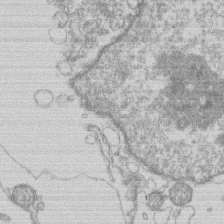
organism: Human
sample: Macrophage cells